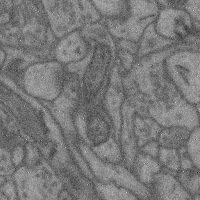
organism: Mouse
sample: Cerebral cortex